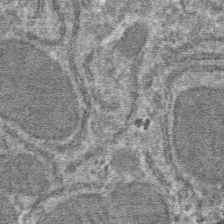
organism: Mouse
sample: Mouse hepatocytes